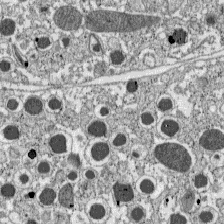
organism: C57BL Mouse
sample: Pancreatic islet